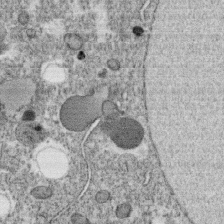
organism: C. elegans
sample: C. elegans oocyte; sperm cells